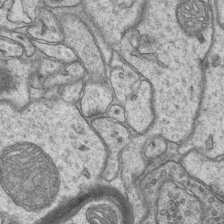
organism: Mouse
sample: CA1 Hippocampus